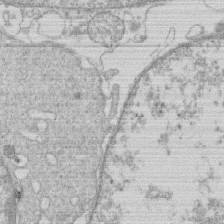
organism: Human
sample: Macrophage cells